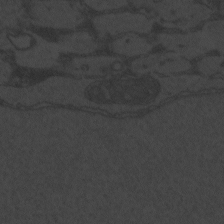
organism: Zebrafish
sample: Macrophage infected with Toxoplasma gondii